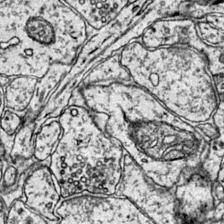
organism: Mouse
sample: Primary visual cortex